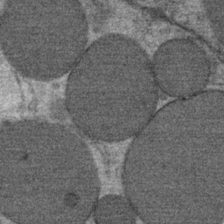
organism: Mouse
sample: Mouse Salivary gland